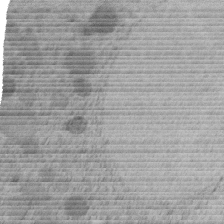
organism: C. elegans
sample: C. elegans embryo early stage